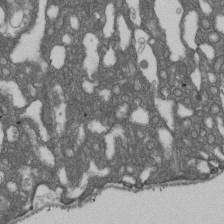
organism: Drosophila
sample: Nephrocyte